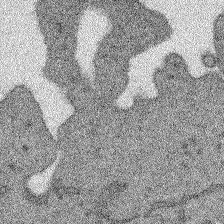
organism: Human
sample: HeLa cells